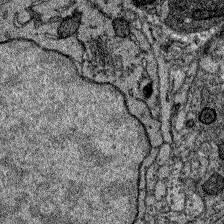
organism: Zebrafish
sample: Larval olfactory bulb